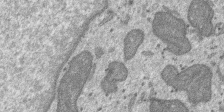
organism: Human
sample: Lung epithelial cells infected with SARS-CoV-2